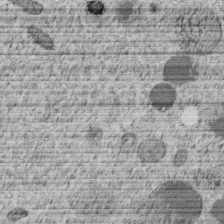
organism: C. elegans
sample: C. elegans embryo early stage